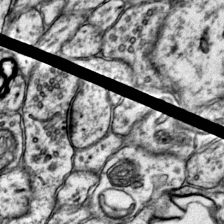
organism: Mouse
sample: Primary visual cortex